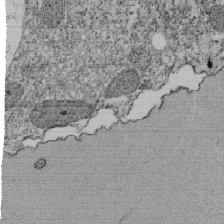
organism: Tetrahymena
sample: Cilia in tetrahymena